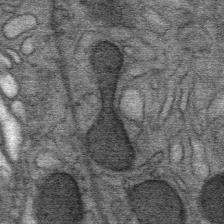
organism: Mouse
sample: Mouse Salivary gland